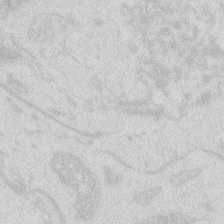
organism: Zebrafish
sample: Macrophage